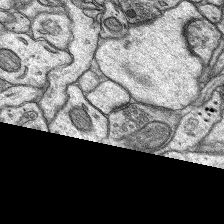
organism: Rat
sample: Hippocampus